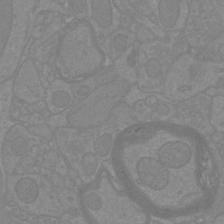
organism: Mouse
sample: Cortical neurons